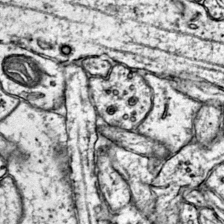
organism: Mouse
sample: Primary visual cortex